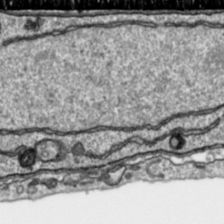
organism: Toxoplasma gondii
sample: Parasites in a vacuole inside a host cell